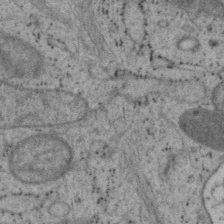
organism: Human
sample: HeLa cells